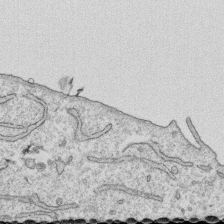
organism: Human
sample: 1205lu cells